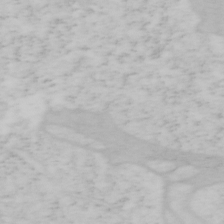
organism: Mouse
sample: OT-I killer T cells with ID8 ovarian cancer cells